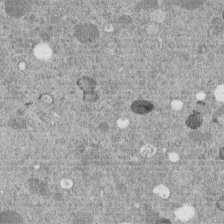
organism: C. elegans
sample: C. elegans embryo early stage